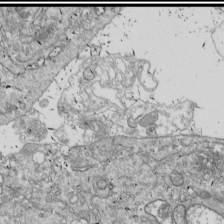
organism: Drosophila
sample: Cell division; meiosis; drosophila spermatocytes